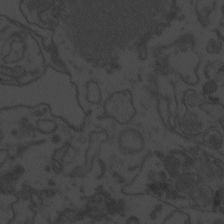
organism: Zebrafish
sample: Macrophage infected with Toxoplasma gondii